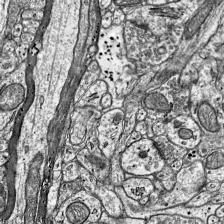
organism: Mouse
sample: Visual Cortex